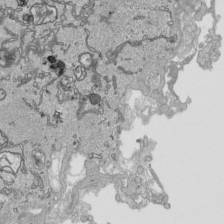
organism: Human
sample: Mitochondria in HCT116 cells